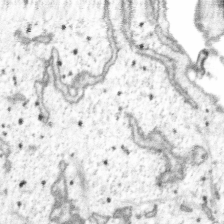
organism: Human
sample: HeLa cells